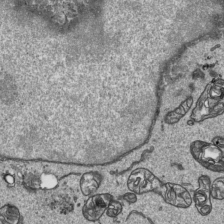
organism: Human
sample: Mitochondria in HCT116 cells